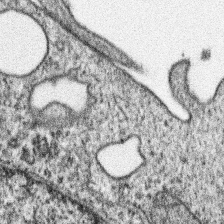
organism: Human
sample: HeLa cells